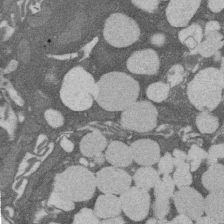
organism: Rat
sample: Salivary granule